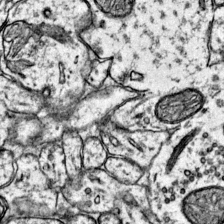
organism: Mouse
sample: Primary visual cortex